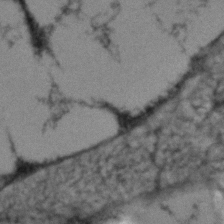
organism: Human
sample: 1205lu cells